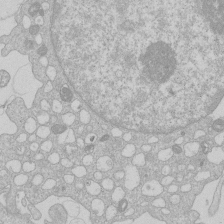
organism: Human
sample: Macrophage cells